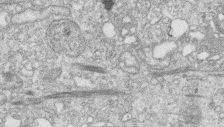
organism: Human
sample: HeLa cell HIV synapse